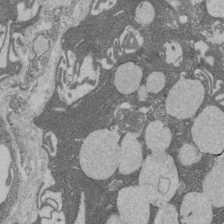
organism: Rat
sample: Salivary granule